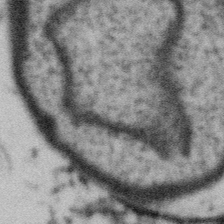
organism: Gemmata obscuriglobus